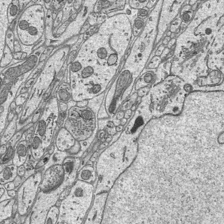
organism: Mouse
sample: Suprachiasmatic nucleus